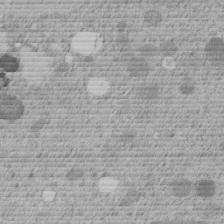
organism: C. elegans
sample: C. elegans embryo early stage